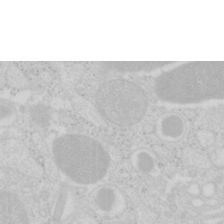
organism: Mouse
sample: Pancreas